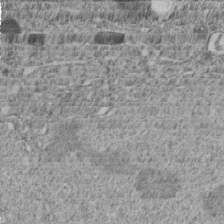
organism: C. elegans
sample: C. elegans embryo early stage